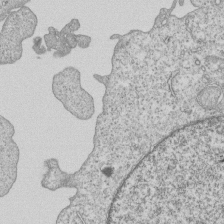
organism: Human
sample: MDA-MB-231 cells